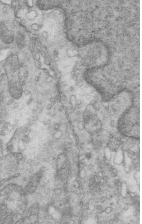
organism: Mouse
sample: Multiciliated cells